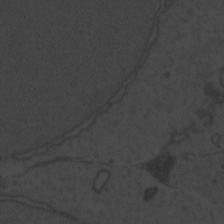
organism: Zebrafish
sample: Macrophage infected with Toxoplasma gondii